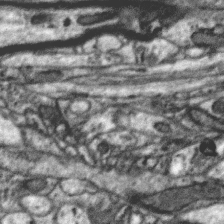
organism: Zebra finch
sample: Brain